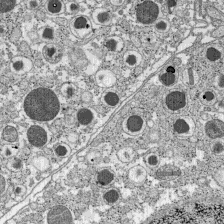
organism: C57BL Mouse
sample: Pancreatic islet